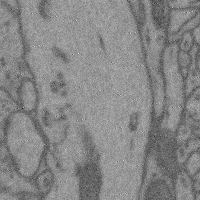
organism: Mouse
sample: Cerebral cortex